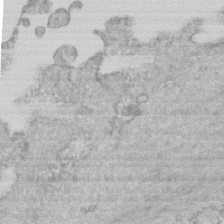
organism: Mouse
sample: Centriole in ependymal cells